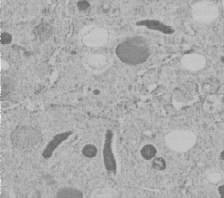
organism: C. elegans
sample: C. elegans embryo early stage